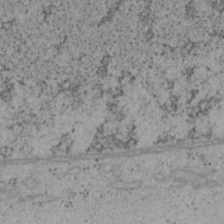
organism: Human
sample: HeLa cells